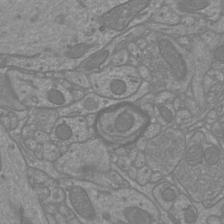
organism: Mouse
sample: Cortical neurons